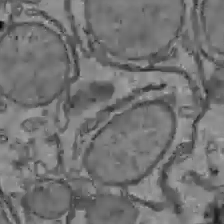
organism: C57BL Mouse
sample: Liver